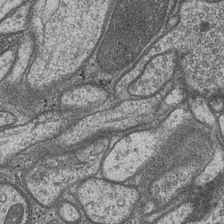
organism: Drosophila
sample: Optic medulla